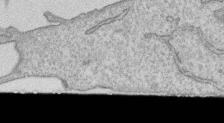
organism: Human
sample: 1205lu cells